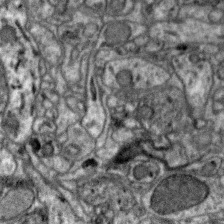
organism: Zebra finch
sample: Brain